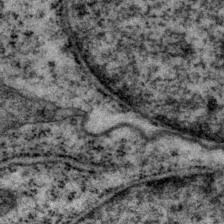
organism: P. pacificus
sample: Pharynx